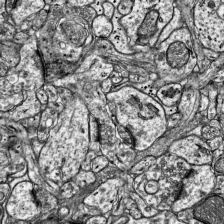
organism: Mouse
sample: Visual Cortex